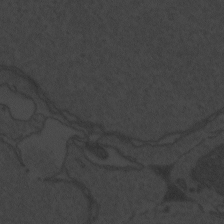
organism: Zebrafish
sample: Macrophage infected with Toxoplasma gondii